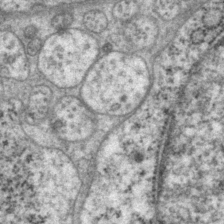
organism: P. pacificus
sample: Pharynx